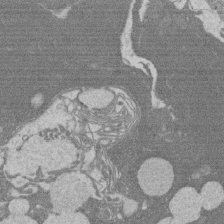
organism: Rat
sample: Salivary granule